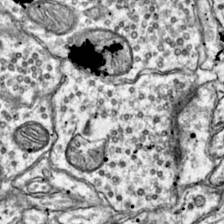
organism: Mouse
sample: Primary visual cortex